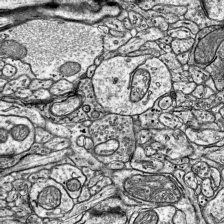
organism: Mouse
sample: Visual Cortex